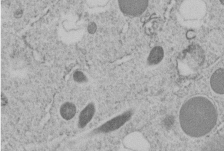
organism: C. elegans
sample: C. elegans embryo early stage